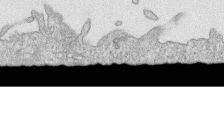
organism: Human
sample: HeLa cell HIV synapse